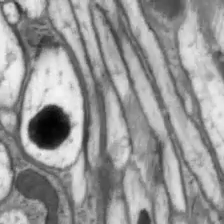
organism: Drosophila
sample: Optic lobe